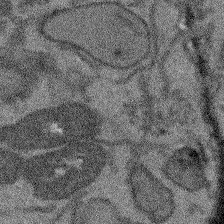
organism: Arabidopsis thaliana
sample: Root tip